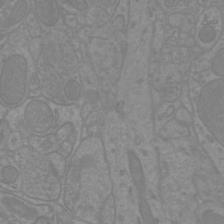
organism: Mouse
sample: Cortical neurons